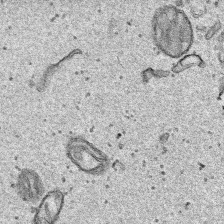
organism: Human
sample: Mitochondria in HCT116 cells